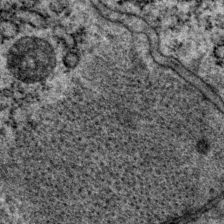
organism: P. pacificus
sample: Pharynx